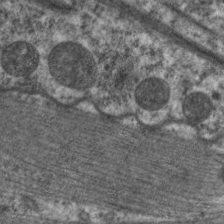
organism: C. elegans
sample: Pharynx